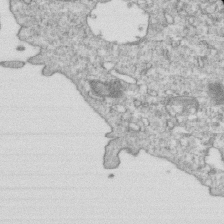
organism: Mouse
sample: Activated OT-1 CD8+ T cells